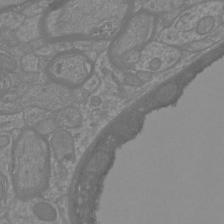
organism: Mouse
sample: Cortical neurons